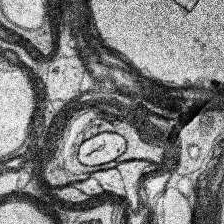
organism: Human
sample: Temporal Lobe